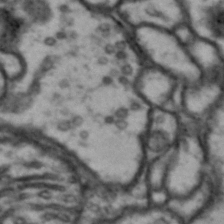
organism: Drosophila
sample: Brain